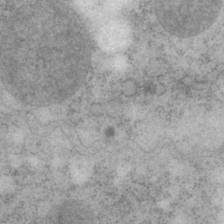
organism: P. pacificus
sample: Pharynx